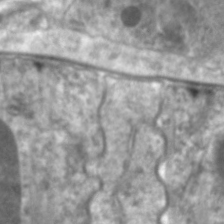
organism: C. elegans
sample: Pharynx